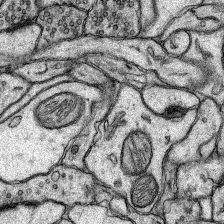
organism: Rat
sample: Hippocampus